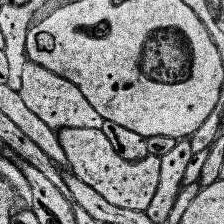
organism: Human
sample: Temporal Lobe